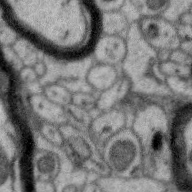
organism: Zebra finch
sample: Brain